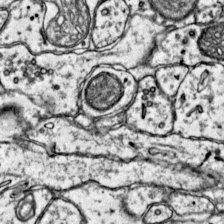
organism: Mouse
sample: Primary visual cortex